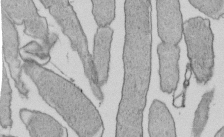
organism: E. coli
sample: Bacterial nucleoid